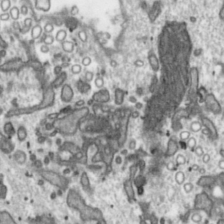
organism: Toxoplasma gondii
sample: Parasites in a vacuole inside a host cell